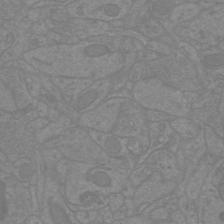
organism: Mouse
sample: Cortical neurons